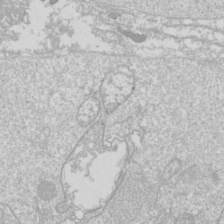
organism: Drosophila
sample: Cell division; meiosis; drosophila spermatocytes